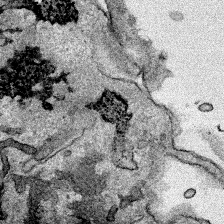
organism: Human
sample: Mitochondria in HCT116 cells